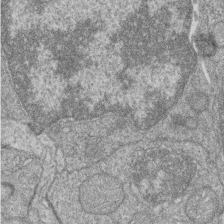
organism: Zebrafish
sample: Cilia; retinal pigment epithelium